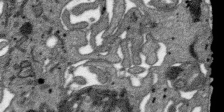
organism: Human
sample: Lung epithelial cells, uninfected (mock) control